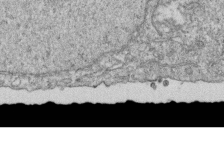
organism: Human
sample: HeLa cell HIV synapse